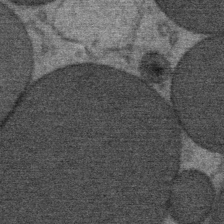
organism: Mouse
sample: Mouse Salivary gland